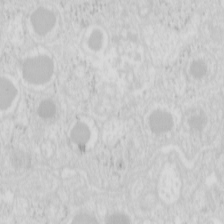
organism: Mouse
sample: Pancreas